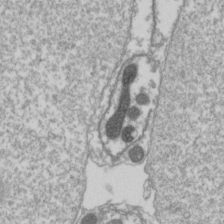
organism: Drosophila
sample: Cell division; meiosis; drosophila spermatocytes